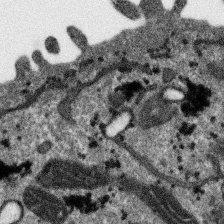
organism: Human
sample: Lung epithelial cells infected with SARS-CoV-2